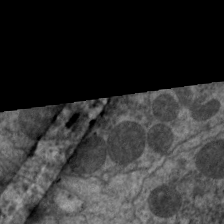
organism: C. elegans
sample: Pharynx